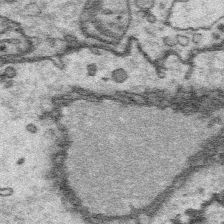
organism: Platynereis dumerilii